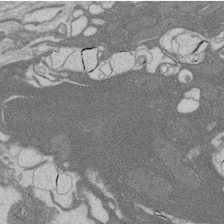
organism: Rat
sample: Salivary granule